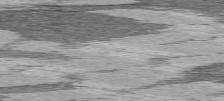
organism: C57BL Mouse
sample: Heart